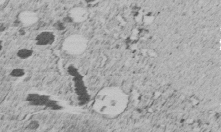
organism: C. elegans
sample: C. elegans embryo early stage